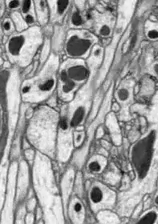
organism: Drosophila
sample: Optic lobe